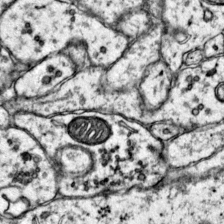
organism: Mouse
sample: Primary visual cortex